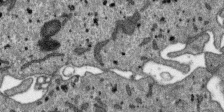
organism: Human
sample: Lung epithelial cells, uninfected (mock) control